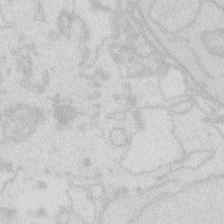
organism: Zebrafish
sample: Macrophage